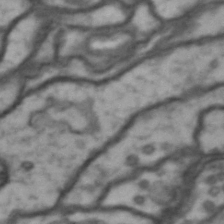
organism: Drosophila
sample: Brain